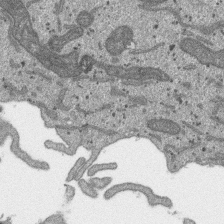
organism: Human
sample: Lung epithelial cells infected with SARS-CoV-2